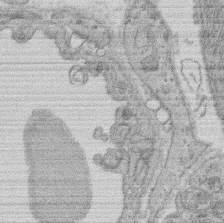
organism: Rat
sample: Salivary granule